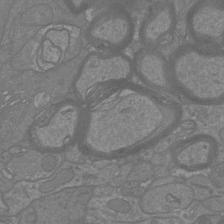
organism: Mouse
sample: Cortical neurons